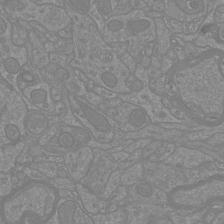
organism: Mouse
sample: Cortical neurons